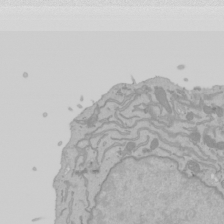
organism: Mouse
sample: Cancer cell death in ED-1 cells